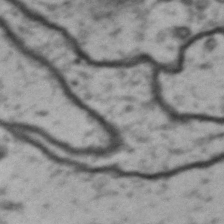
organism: Drosophila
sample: Brain